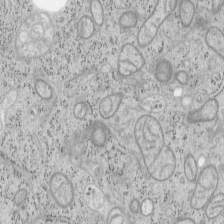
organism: Mouse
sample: OT-I killer T cells with ID8 ovarian cancer cells